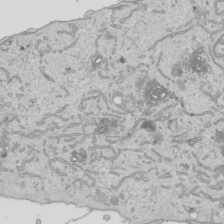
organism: Human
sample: Mitochondria in HCT116 cells